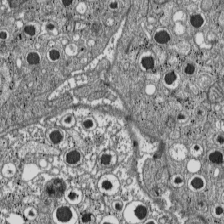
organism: C57BL Mouse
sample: Pancreatic islet